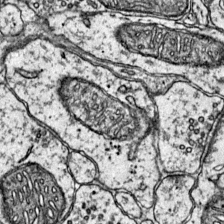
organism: Mouse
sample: Primary visual cortex